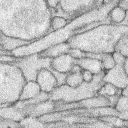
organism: Rabbit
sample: Retina